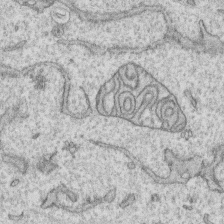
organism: Human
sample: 1205lu cells